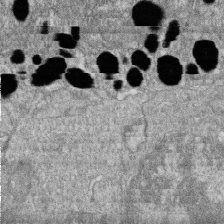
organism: Zebrafish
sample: Cilia; retinal pigment epithelium